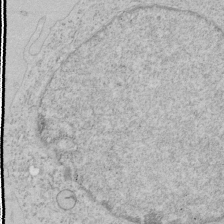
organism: Human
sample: Mitochondria in HCT116 cells